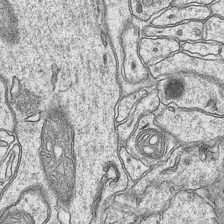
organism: Mouse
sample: CA1 Hippocampus